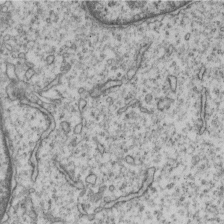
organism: Human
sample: MDA-MB-231 cells